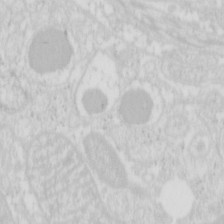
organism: Mouse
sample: Pancreas